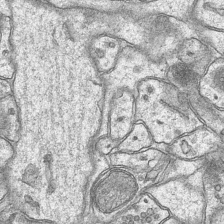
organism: Mouse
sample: CA1 Hippocampus